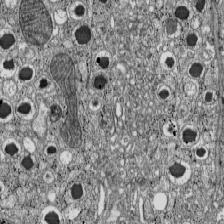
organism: C57BL Mouse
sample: Pancreatic islet